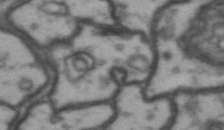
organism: Drosophila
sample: Brain